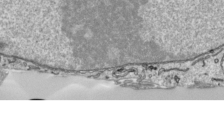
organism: Human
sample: Mitochondria in HCT116 cells